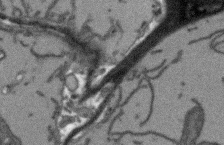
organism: Arabidopsis thaliana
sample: Root tip